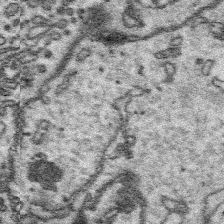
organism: Platynereis dumerilii